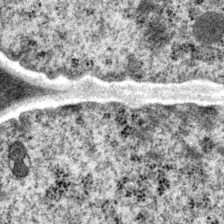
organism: P. pacificus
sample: Pharynx